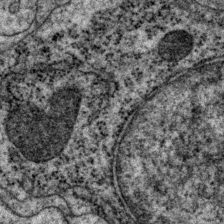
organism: P. pacificus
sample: Pharynx